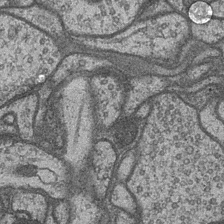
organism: Drosophila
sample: Optic medulla